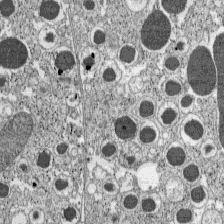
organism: C57BL Mouse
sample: Pancreatic islet